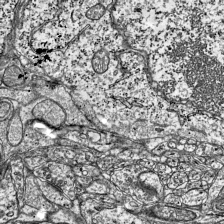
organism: Mouse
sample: Visual Cortex